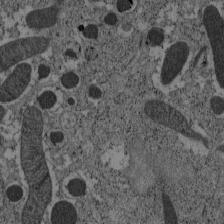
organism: C57BL Mouse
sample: Pancreatic islet